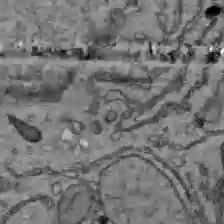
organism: C57BL Mouse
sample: Liver